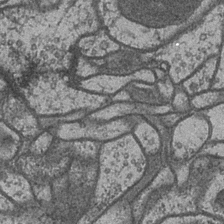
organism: Drosophila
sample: Optic medulla